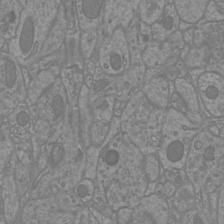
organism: Mouse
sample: Cortical neurons